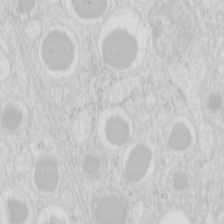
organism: Mouse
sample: Pancreas